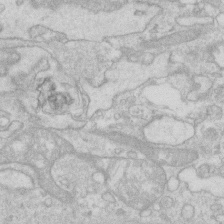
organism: Human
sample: Fibroblast cells